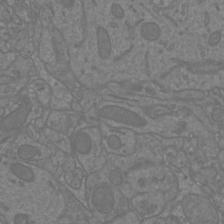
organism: Mouse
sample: Cortical neurons